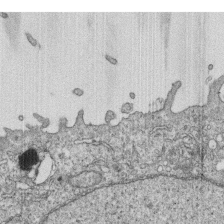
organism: Human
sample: HeLa cell HIV synapse